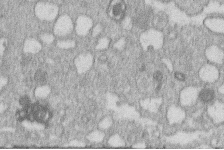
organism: Human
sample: Macrophage cells